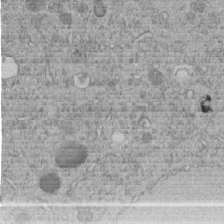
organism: C. elegans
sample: C. elegans embryo early stage